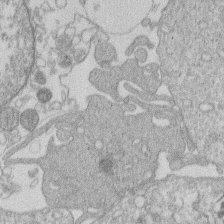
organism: Human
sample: Macrophage cells